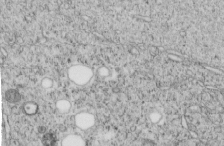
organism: C. elegans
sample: C. elegans embryo early stage